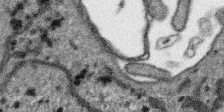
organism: Human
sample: Lung epithelial cells infected with SARS-CoV-2